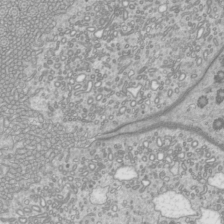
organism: Mouse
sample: Cilia; mouse epididymis